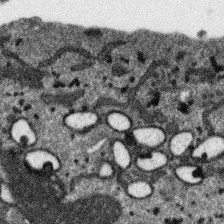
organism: Human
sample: Lung epithelial cells infected with SARS-CoV-2